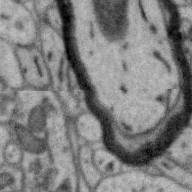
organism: Zebra finch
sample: Brain